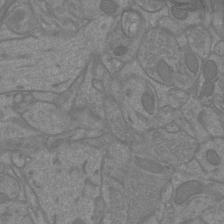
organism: Mouse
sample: Cortical neurons